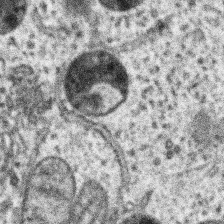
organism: Human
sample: HeLa cells